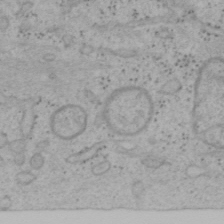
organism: Human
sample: HeLa cells